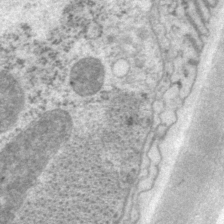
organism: P. pacificus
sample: Pharynx